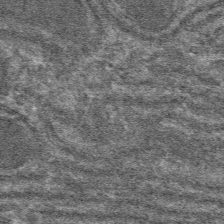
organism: Mouse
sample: Mouse hepatocytes